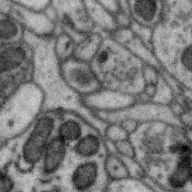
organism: Zebra finch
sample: Brain